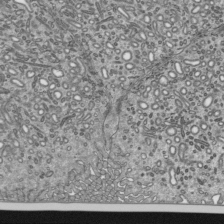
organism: Mouse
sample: Mouse epididymis efferent ductule cilia